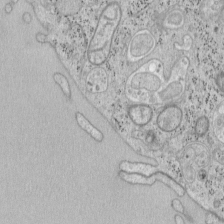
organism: Mouse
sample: OT-I killer T cells with ID8 ovarian cancer cells